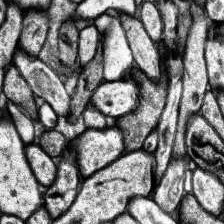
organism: Human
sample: Temporal Lobe